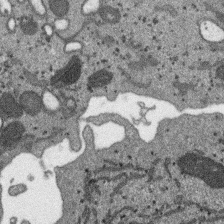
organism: Human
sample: Lung epithelial cells infected with SARS-CoV-2